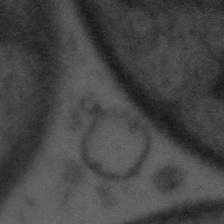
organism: Tuwongella immobilis